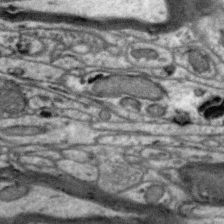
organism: Zebra finch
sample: Brain